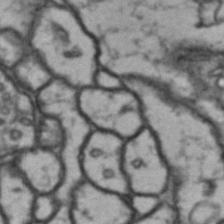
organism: Drosophila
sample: Brain